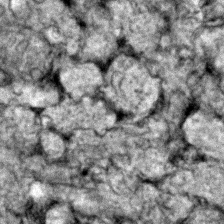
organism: Zebrafish